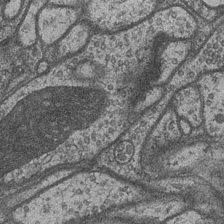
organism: Drosophila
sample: Optic medulla